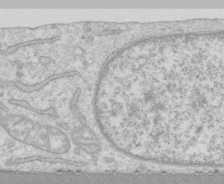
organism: Human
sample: CRL-1474